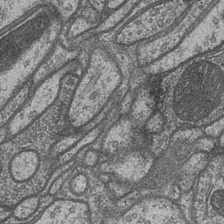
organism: Drosophila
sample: Optic medulla